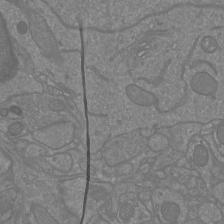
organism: Mouse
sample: Cortical neurons